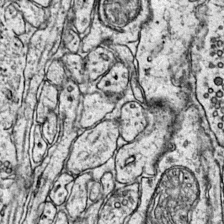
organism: Mouse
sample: Primary visual cortex